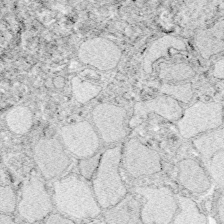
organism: Zebrafish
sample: Whole-Brain